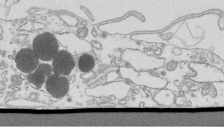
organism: Mouse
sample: Macrophages